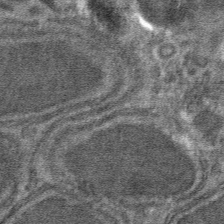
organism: Mouse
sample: Mouse hepatocytes